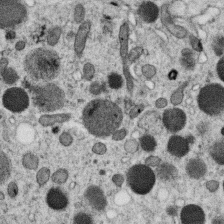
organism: C. elegans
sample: C. elegans oocyte; sperm cells